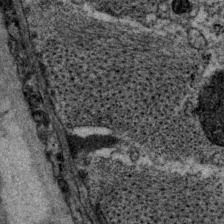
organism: P. pacificus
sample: Pharynx